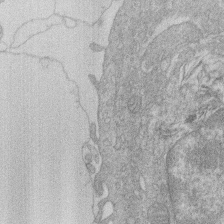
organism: Human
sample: Macrophage cells